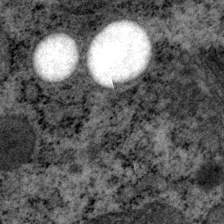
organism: P. pacificus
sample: Pharynx